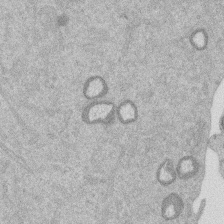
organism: Mouse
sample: Dividing mouse embryo 1 cell stage